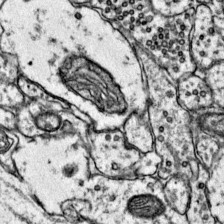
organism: Mouse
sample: Primary visual cortex